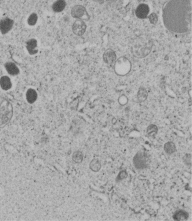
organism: C. elegans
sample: C. elegans embryo early stage